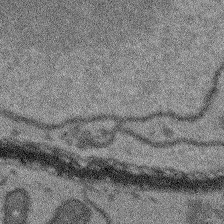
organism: Arabidopsis thaliana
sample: Root tip